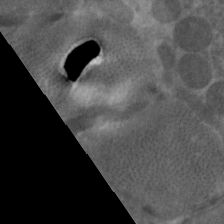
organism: C. elegans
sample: Pharynx